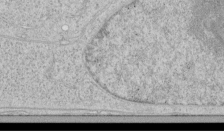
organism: Human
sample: Mitochondria in HCT116 cells